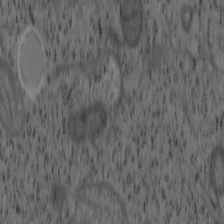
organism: Human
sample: HeLa cells